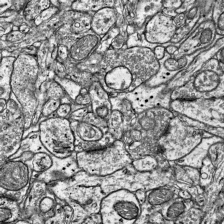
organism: Mouse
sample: Visual Cortex